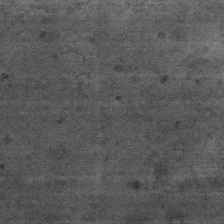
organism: Mouse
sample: Centriole in ependymal cells